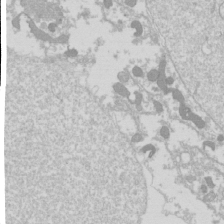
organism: Drosophila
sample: Cell division; meiosis; drosophila spermatocytes